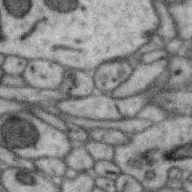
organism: Zebra finch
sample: Brain